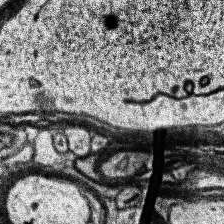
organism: Human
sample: Temporal Lobe